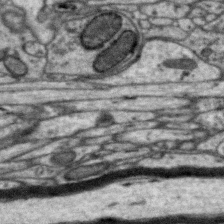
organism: Zebra finch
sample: Brain